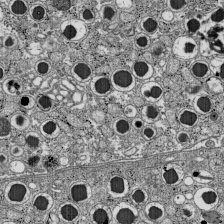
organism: C57BL Mouse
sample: Pancreatic islet